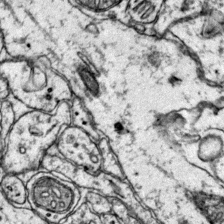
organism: Mouse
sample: Primary visual cortex